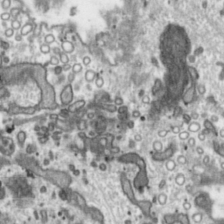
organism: Toxoplasma gondii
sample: Parasites in a vacuole inside a host cell